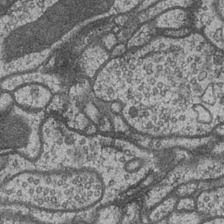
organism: Drosophila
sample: Optic medulla